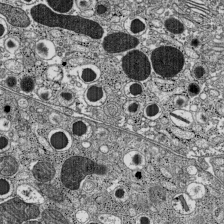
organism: C57BL Mouse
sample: Pancreatic islet